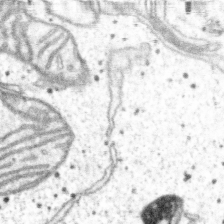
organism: Human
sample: HeLa cells